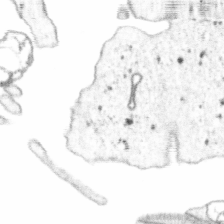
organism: Human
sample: HeLa cells